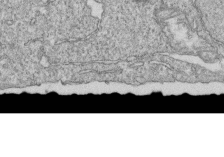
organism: Human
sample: HeLa cell HIV synapse